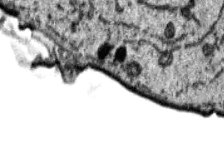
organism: Human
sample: HeLa cells